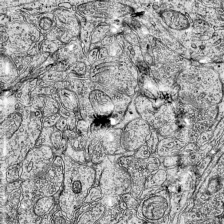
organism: Mouse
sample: Visual Cortex